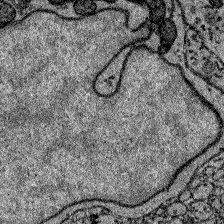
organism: Zebrafish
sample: Larval olfactory bulb